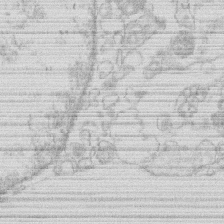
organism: Human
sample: Macrophage cells